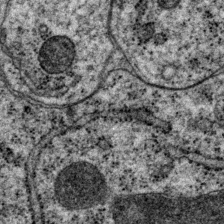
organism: P. pacificus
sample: Pharynx